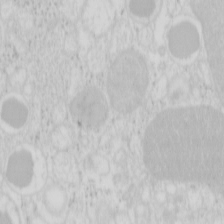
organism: Mouse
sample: Pancreas